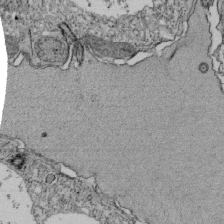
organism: Tetrahymena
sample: Cilia in tetrahymena